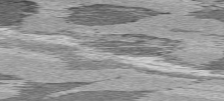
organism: C57BL Mouse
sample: Heart